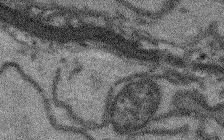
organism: Arabidopsis thaliana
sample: Root tip